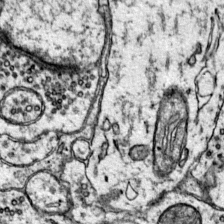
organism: Mouse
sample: Primary visual cortex